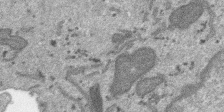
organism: Human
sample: Lung epithelial cells infected with SARS-CoV-2